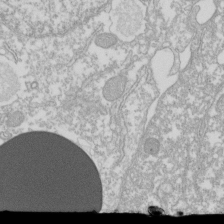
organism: Xenopus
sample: Cilia; centrioles in frog embryo cells